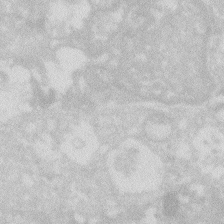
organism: Zebrafish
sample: Macrophage